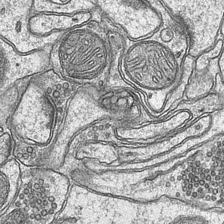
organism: Mouse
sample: CA1 Hippocampus